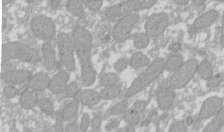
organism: Xenopus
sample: Cilia; centrioles in frog embryo cells